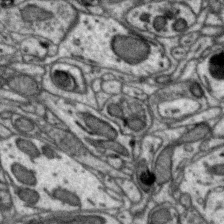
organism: Zebra finch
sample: Brain